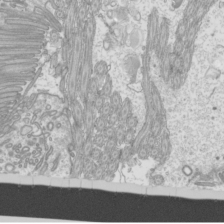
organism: Mouse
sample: Cilia; mouse epididymis